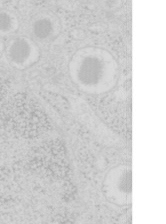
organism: Mouse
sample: Pancreas